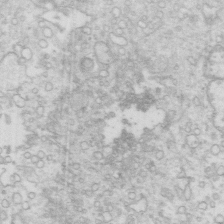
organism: Mouse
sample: Multiciliated cells